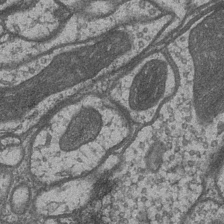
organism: Drosophila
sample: Optic medulla